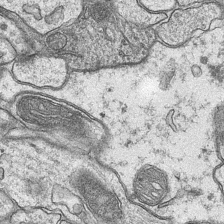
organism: Mouse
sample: CA1 Hippocampus